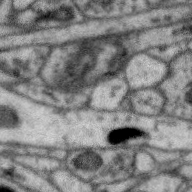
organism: Zebra finch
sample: Brain